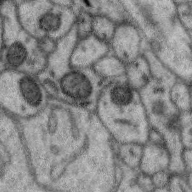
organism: Zebra finch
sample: Brain